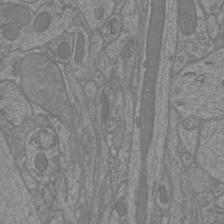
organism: Mouse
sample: Cortical neurons